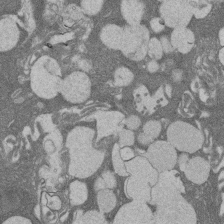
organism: Rat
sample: Salivary granule